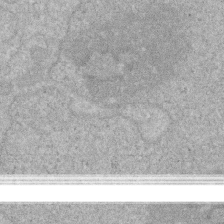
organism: Human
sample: HIV infected U937 cells